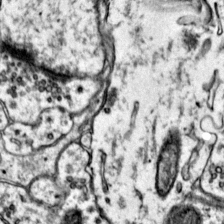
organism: Mouse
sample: Primary visual cortex